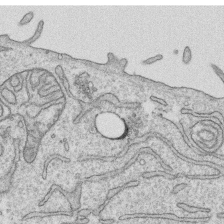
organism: Human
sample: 1205lu cells